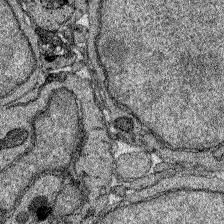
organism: Zebrafish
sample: Larval olfactory bulb